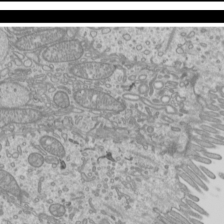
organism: Mouse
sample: Cilia; mouse epididymis